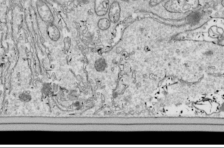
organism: Drosophila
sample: Cell division; meiosis; drosophila spermatocytes